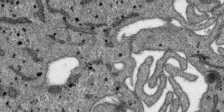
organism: Human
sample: Lung epithelial cells, uninfected (mock) control